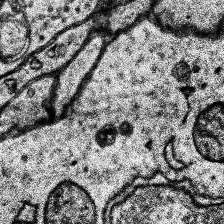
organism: Human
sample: Temporal Lobe